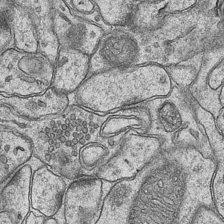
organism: Mouse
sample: CA1 Hippocampus